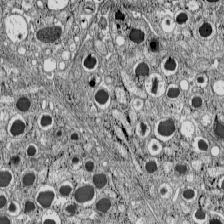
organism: C57BL Mouse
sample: Pancreatic islet